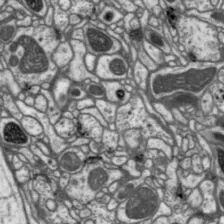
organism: Drosophila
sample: Protocerebral bridge